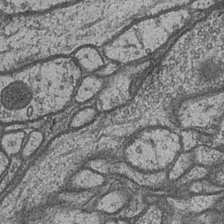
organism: Drosophila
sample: Optic medulla